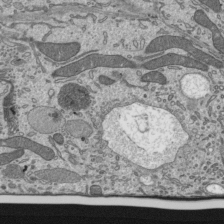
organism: Mouse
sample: Mouse epididymis efferent ductule cilia